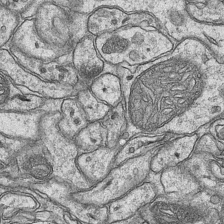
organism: Mouse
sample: CA1 Hippocampus